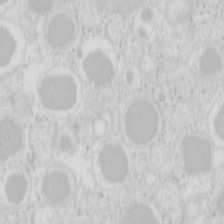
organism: Mouse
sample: Pancreas